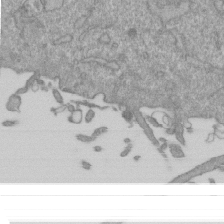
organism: Mouse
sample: ED-1 cell nuclei; centrioles